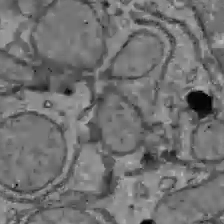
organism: C57BL Mouse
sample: Liver